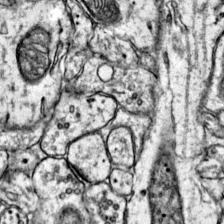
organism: Mouse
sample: Primary visual cortex